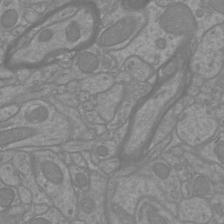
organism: Mouse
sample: Cortical neurons